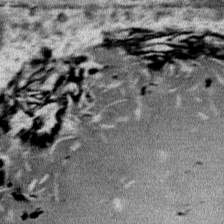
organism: Mouse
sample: Mouse Salivary gland